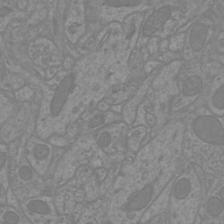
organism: Mouse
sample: Cortical neurons